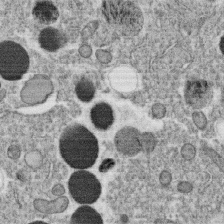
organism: C. elegans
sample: C. elegans oocyte; sperm cells